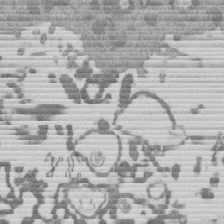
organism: Mouse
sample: Dividing mouse embryo 1 cell stage